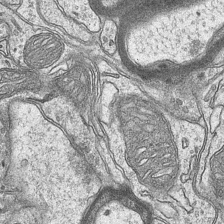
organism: Mouse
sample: CA1 Hippocampus